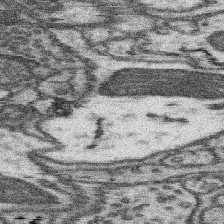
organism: Mouse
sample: Somatosensory cortex neuropil